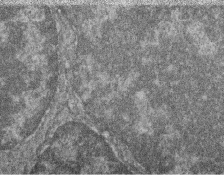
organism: Zebrafish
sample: Cilia; retinal pigment epithelium